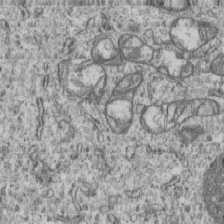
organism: Human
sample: MDA-MB-231 cells